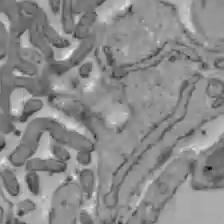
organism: C57BL Mouse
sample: Liver